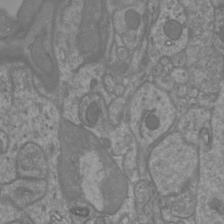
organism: Mouse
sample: Cortical neurons